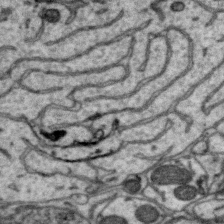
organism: Zebra finch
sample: Brain